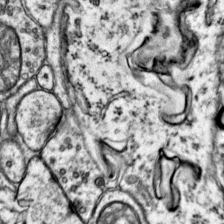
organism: Mouse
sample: Primary visual cortex